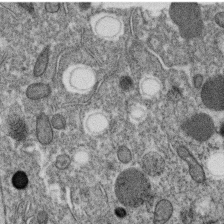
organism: C. elegans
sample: C. elegans oocyte; sperm cells